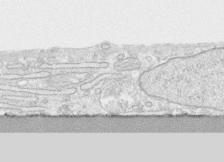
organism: Human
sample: CRL-1474